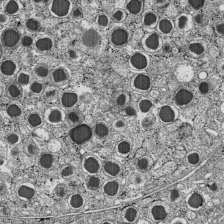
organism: C57BL Mouse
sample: Pancreatic islet